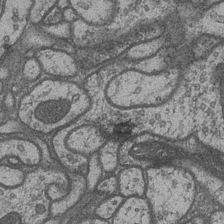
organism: Drosophila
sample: Optic medulla